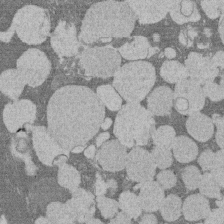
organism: Rat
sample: Salivary granule